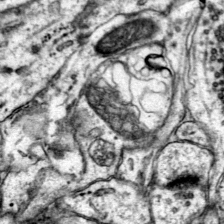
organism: Mouse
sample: Primary visual cortex